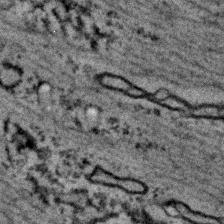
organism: C. elegans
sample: C. elegans embryo